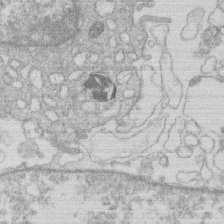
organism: Human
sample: Macrophage cells